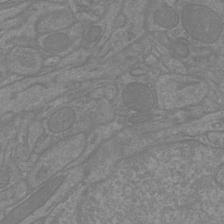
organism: Mouse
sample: Cortical neurons